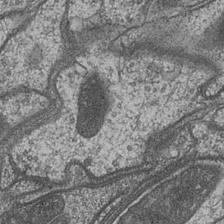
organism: Drosophila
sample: Optic medulla